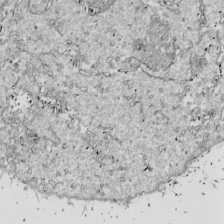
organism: Drosophila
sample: Cell division; meiosis; drosophila spermatocytes